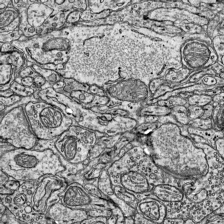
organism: Mouse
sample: Visual Cortex